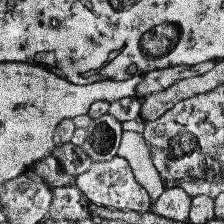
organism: Human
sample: Temporal Lobe